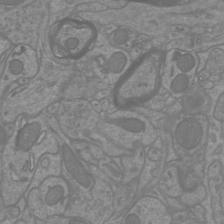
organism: Mouse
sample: Cortical neurons